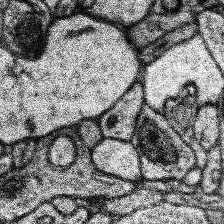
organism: Human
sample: Temporal Lobe